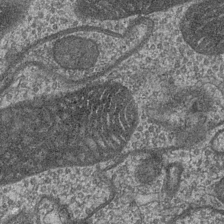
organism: Drosophila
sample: Optic medulla